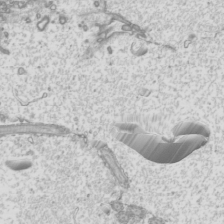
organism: Mouse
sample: Cilia; mouse epididymis